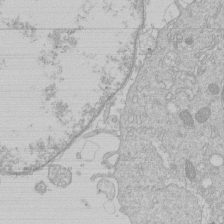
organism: Human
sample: Macrophage cells